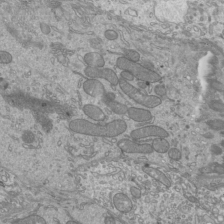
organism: Mouse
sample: Cilia; mouse epididymis